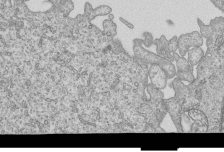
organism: Human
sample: MDA-MB-231 cells